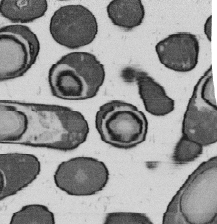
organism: B. subtilis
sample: Bacterial spore